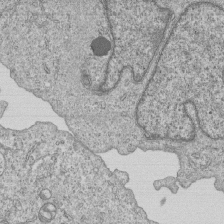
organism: Human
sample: MDA-MB-231 cells